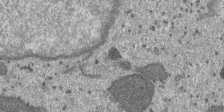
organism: Human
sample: Lung epithelial cells infected with SARS-CoV-2